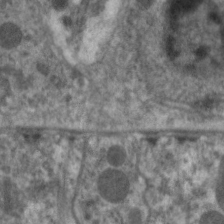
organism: C. elegans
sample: Pharynx